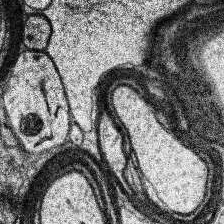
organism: Human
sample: Temporal Lobe